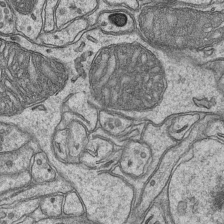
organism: Mouse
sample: CA1 Hippocampus